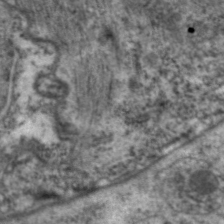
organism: C. elegans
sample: Pharynx